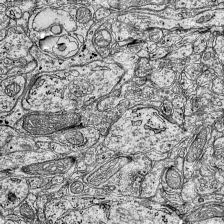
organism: Mouse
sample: Visual Cortex